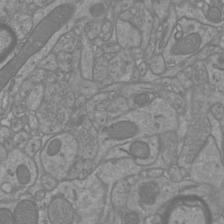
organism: Mouse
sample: Cortical neurons